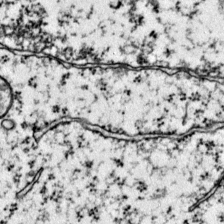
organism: Mouse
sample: Primary visual cortex